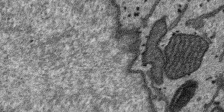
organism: Human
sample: Lung epithelial cells, uninfected (mock) control